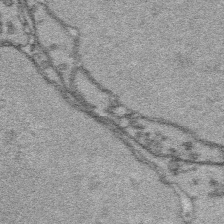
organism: Platynereis dumerilii